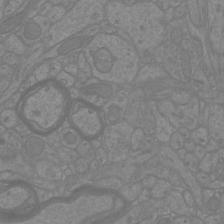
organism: Mouse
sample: Cortical neurons